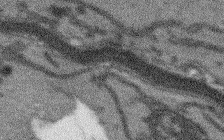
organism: Arabidopsis thaliana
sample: Root tip